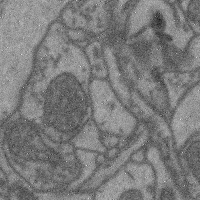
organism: Mouse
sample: Cerebral cortex